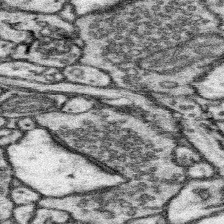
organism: Mouse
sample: Somatosensory cortex neuropil